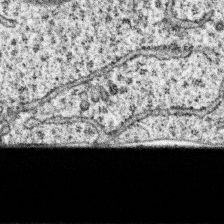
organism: Human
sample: HeLa cells